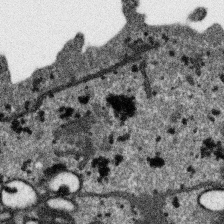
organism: Human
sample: Lung epithelial cells infected with SARS-CoV-2